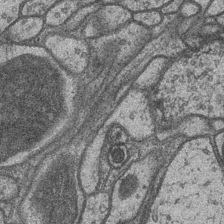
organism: Drosophila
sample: Optic medulla